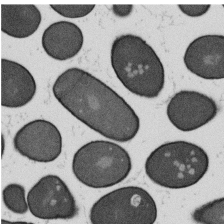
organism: B. subtilis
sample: Bacterial spore